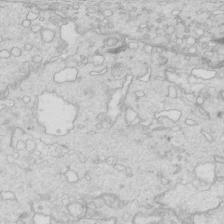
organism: Mouse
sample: Multiciliated cells